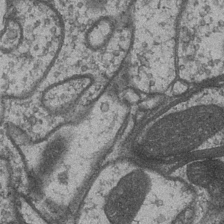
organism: Drosophila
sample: Optic medulla